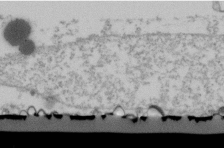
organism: Human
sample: U2-OS cells